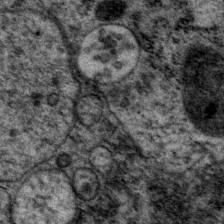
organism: P. pacificus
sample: Pharynx